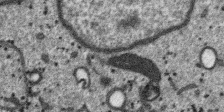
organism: Human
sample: Lung epithelial cells infected with SARS-CoV-2